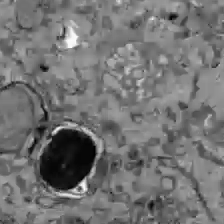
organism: C57BL Mouse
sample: Liver